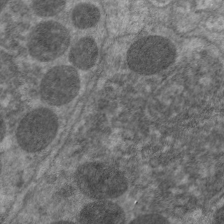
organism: C. elegans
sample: Pharynx